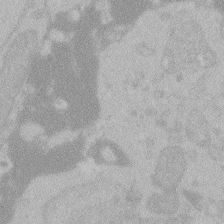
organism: Zebrafish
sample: Macrophage infected with Toxoplasma gondii